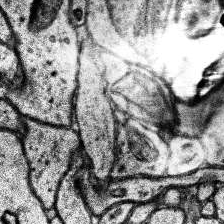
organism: Human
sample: Temporal Lobe